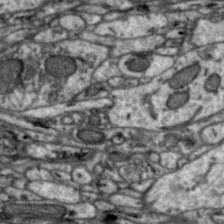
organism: Zebra finch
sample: Brain